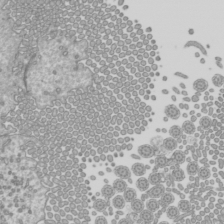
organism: Mouse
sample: Cilia; mouse epididymis